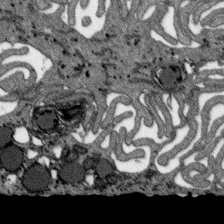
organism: Human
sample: Lung epithelial cells, uninfected (mock) control